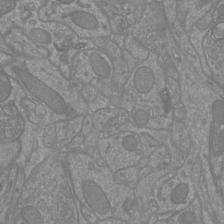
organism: Mouse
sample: Cortical neurons